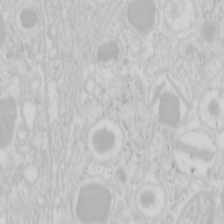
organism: Mouse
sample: Pancreas